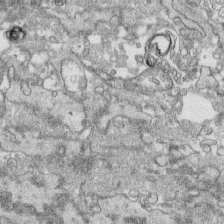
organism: Human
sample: CRL-1474